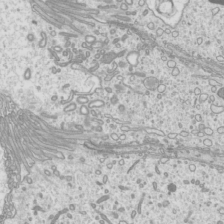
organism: Mouse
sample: Cilia; mouse epididymis